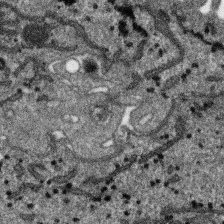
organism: Human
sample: Lung epithelial cells infected with SARS-CoV-2